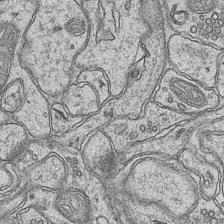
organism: Mouse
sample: CA1 Hippocampus